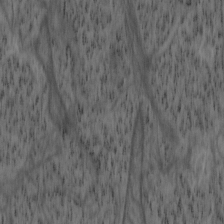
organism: Human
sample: HeLa cells